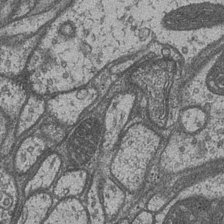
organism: Drosophila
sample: Optic medulla